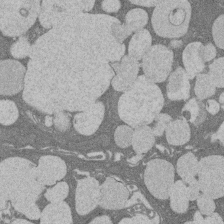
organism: Rat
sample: Salivary granule